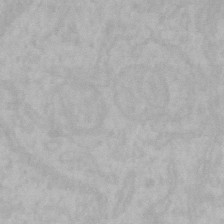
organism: Mouse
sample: Choroid plexus